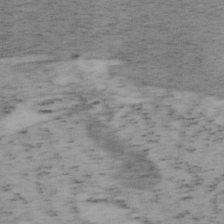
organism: Mouse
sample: OT-I killer T cells with ID8 ovarian cancer cells